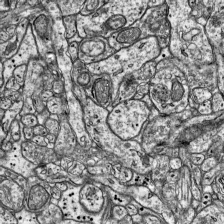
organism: Mouse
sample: Visual Cortex